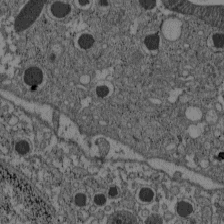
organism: C57BL Mouse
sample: Pancreatic islet